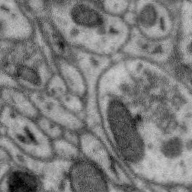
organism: Zebra finch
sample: Brain